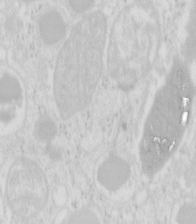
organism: Mouse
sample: Pancreas